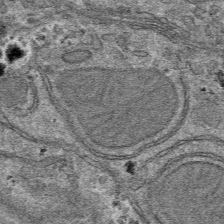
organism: Mouse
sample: Mouse hepatocytes